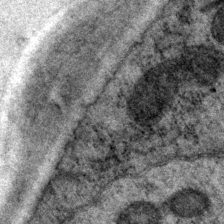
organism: P. pacificus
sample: Pharynx